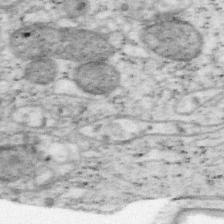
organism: Mouse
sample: OT-I killer T cells with ID8 ovarian cancer cells